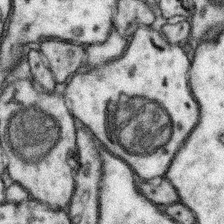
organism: Mouse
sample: Somatosensory cortex neuropil